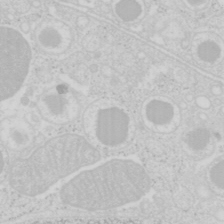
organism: Mouse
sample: Pancreas